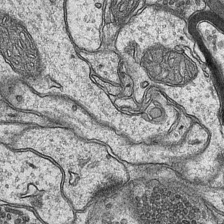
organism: Mouse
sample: CA1 Hippocampus